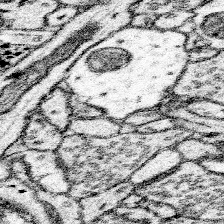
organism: Mouse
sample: Somatosensory cortex neuropil